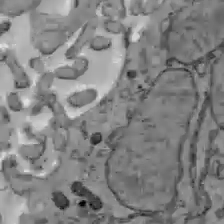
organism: C57BL Mouse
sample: Liver